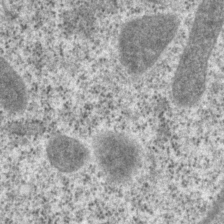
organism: P. pacificus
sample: Pharynx